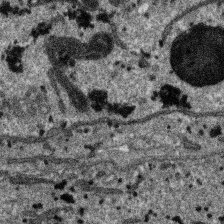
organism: Human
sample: Lung epithelial cells infected with SARS-CoV-2